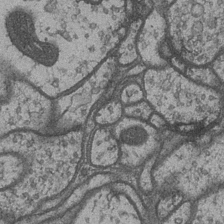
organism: Drosophila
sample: Optic medulla